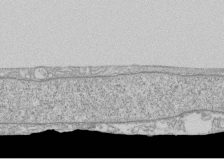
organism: Human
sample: CRL-1474